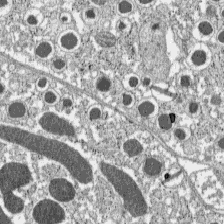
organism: C57BL Mouse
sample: Pancreatic islet